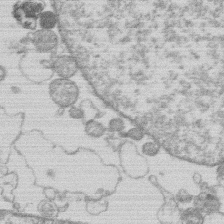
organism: Human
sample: Macrophage cells